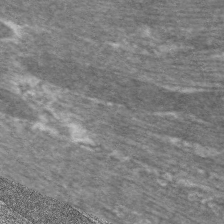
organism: C. elegans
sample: Pharynx